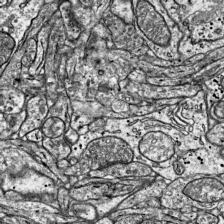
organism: Mouse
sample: Visual Cortex